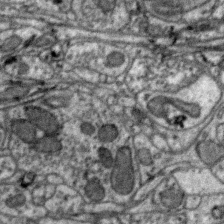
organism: Zebra finch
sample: Brain